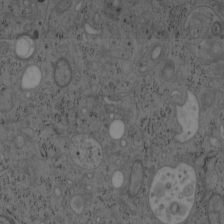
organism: Mouse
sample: OT-I killer T cells with ID8 ovarian cancer cells